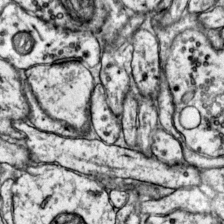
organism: Mouse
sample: Primary visual cortex